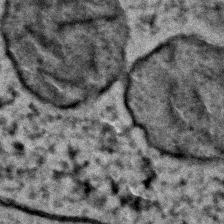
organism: Zebrafish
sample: Zebrafish embryo